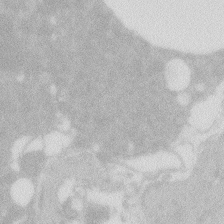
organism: Zebrafish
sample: Macrophage